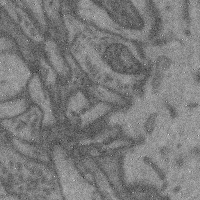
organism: Mouse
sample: Cerebral cortex